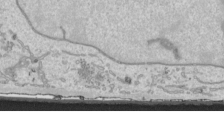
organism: Human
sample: Mitochondria in HCT116 cells